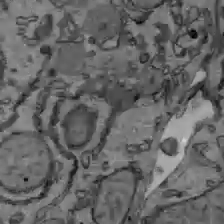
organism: C57BL Mouse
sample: Liver